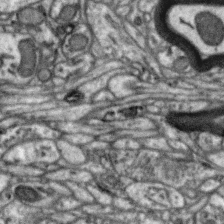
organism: Zebra finch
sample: Brain